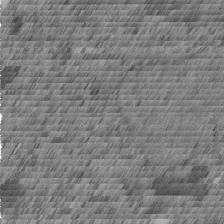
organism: C. elegans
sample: C. elegans embryo early stage